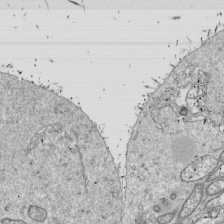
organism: Drosophila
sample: Cell division; meiosis; drosophila spermatocytes